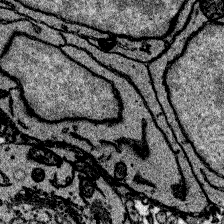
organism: Zebrafish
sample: Larval olfactory bulb